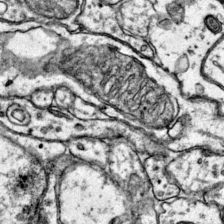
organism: Mouse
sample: Primary visual cortex